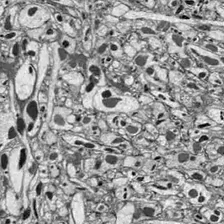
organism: Drosophila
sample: Optic lobe